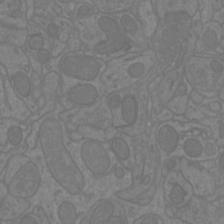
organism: Mouse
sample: Cortical neurons